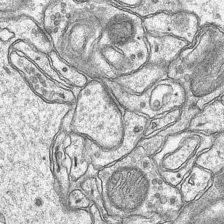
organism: Mouse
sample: CA1 Hippocampus